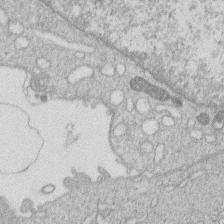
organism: Human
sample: Macrophage cells